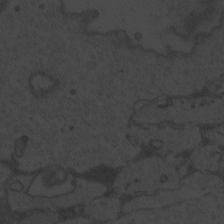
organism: Zebrafish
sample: Macrophage infected with Toxoplasma gondii